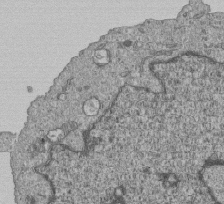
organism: Human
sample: MDA-MB-231 cells